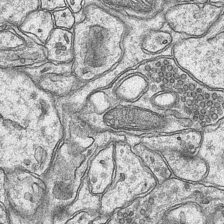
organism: Mouse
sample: CA1 Hippocampus